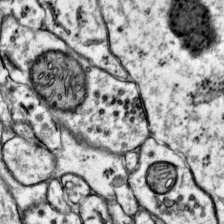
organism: Mouse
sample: Primary visual cortex